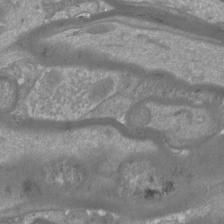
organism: Mouse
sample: Cortical neurons